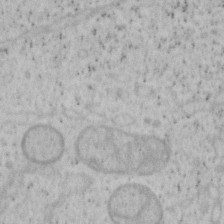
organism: Human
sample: HeLa cells